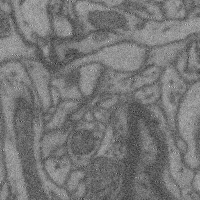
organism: Mouse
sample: Cerebral cortex